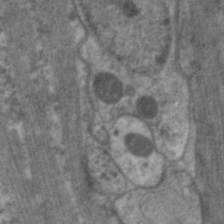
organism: C. elegans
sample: Pharynx